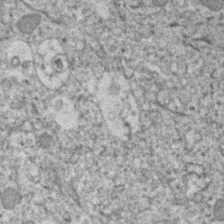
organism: Human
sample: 1205lu cells